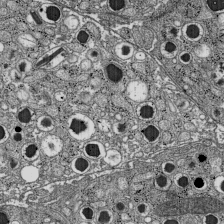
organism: C57BL Mouse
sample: Pancreatic islet